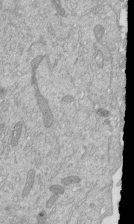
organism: Mouse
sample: ED-1 cell nuclei; centrioles